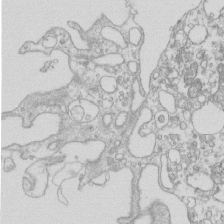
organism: Mouse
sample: Macrophages